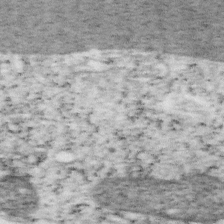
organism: Mouse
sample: OT-I killer T cells with ID8 ovarian cancer cells